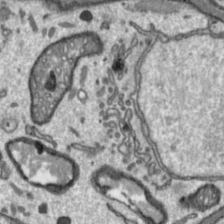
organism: Toxoplasma gondii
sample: Parasites in a vacuole inside a host cell